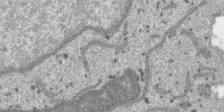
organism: Human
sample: Lung epithelial cells infected with SARS-CoV-2